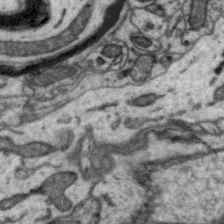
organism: Zebra finch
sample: Brain